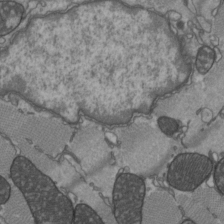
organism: C57BL Mouse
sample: Heart